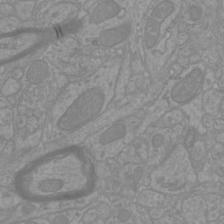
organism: Mouse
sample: Cortical neurons